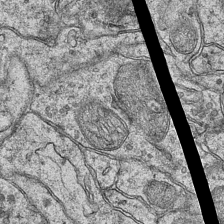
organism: Mouse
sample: CA1 Hippocampus